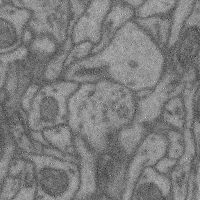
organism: Mouse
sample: Cerebral cortex